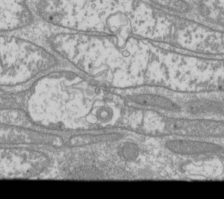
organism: Drosophila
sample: Cell division; meiosis; drosophila spermatocytes